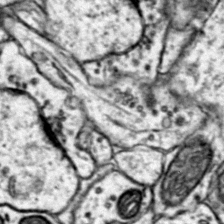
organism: Mouse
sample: Primary visual cortex